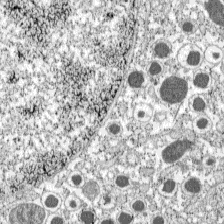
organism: C57BL Mouse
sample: Pancreatic islet